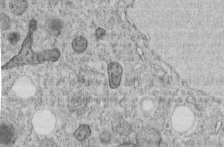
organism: C. elegans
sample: C. elegans embryo early stage